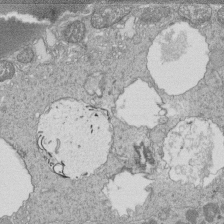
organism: Tetrahymena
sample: Cilia in tetrahymena